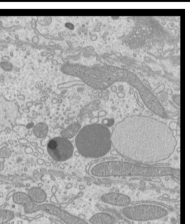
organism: Mouse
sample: Cilia; mouse epididymis